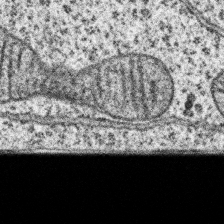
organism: Human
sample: HeLa cells